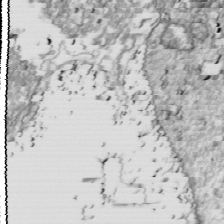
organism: Drosophila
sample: Cell division; meiosis; drosophila spermatocytes